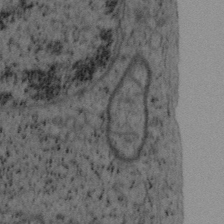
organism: Human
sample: HeLa cells